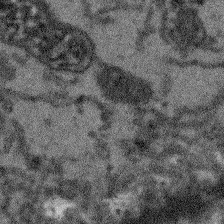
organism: Arabidopsis thaliana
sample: Root tip